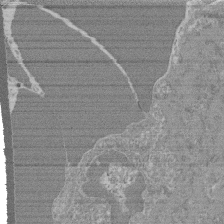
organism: Mouse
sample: Glomerulus